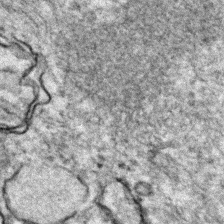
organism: Zebrafish